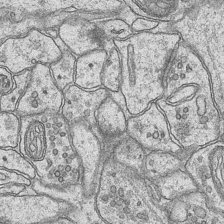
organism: Mouse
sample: CA1 Hippocampus